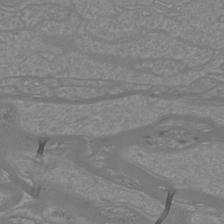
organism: Mouse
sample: Cortical neurons